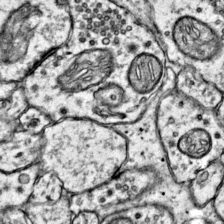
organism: Mouse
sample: Primary visual cortex